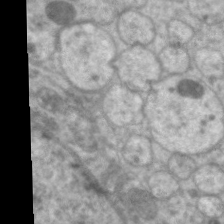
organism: C. elegans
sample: Pharynx